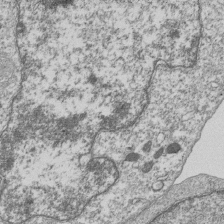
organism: Human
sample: MDA-MB-231 cells